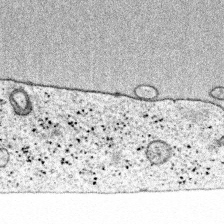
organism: Human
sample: HeLa cells